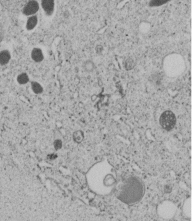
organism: C. elegans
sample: C. elegans embryo early stage